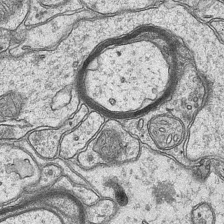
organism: Mouse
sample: CA1 Hippocampus